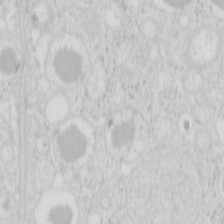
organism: Mouse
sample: Pancreas